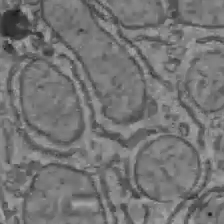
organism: C57BL Mouse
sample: Liver